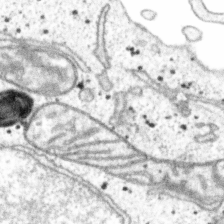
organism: Human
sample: HeLa cells